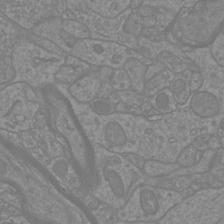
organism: Mouse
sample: Cortical neurons